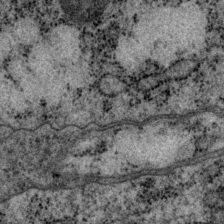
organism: P. pacificus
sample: Pharynx